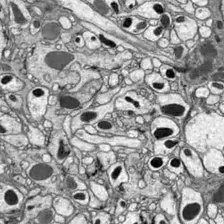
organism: Drosophila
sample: Optic lobe